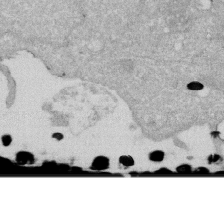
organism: Human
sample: HIV infected U937 cells